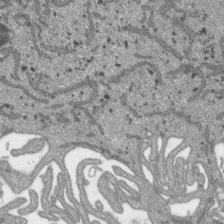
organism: Human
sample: Lung epithelial cells infected with SARS-CoV-2